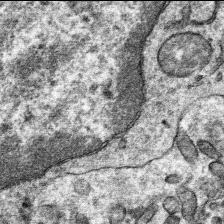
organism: Mouse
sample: Mouse hepatocytes